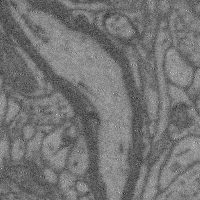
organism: Mouse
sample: Cerebral cortex